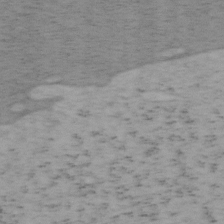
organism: Mouse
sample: OT-I killer T cells with ID8 ovarian cancer cells